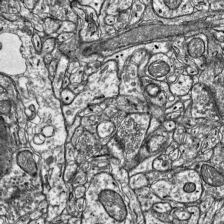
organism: Mouse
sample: Visual Cortex